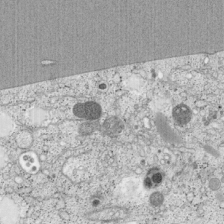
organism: African green monkey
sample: COS-7 cells